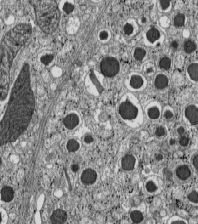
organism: C57BL Mouse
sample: Pancreatic islet